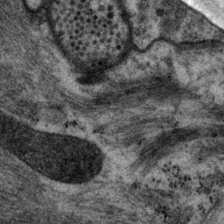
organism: P. pacificus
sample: Pharynx